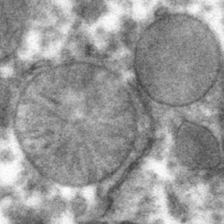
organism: Mouse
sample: Mouse hepatocytes